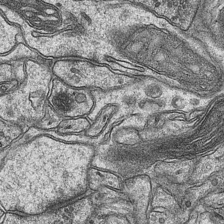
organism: Mouse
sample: CA1 Hippocampus